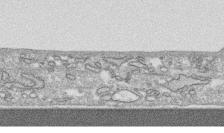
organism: Human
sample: CRL-1474